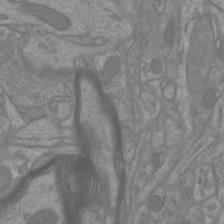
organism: Mouse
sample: Cortical neurons